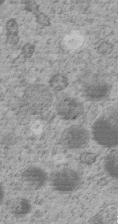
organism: C. elegans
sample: C. elegans embryo early stage